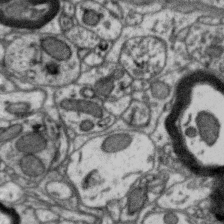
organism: Zebra finch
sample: Brain